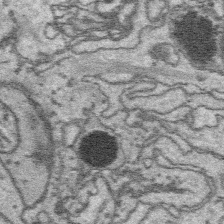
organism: Platynereis dumerilii